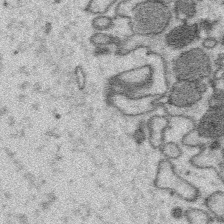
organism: Platynereis dumerilii